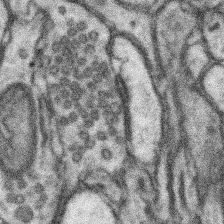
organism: Mouse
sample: Somatosensory cortex neuropil